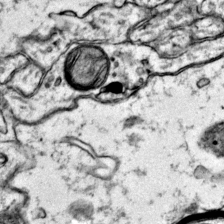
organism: Mouse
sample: Primary visual cortex